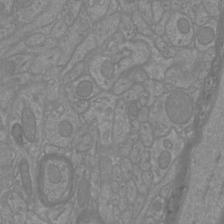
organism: Mouse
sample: Cortical neurons